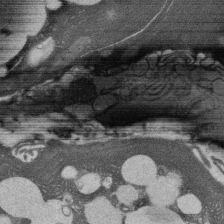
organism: Rat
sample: Salivary granule